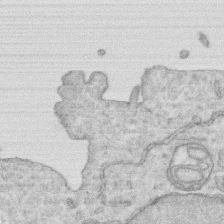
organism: Human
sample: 1205lu cells